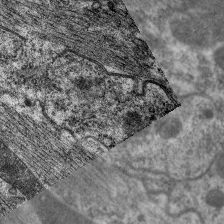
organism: C. elegans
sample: Pharynx